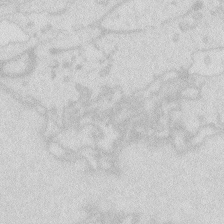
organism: Zebrafish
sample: Macrophage